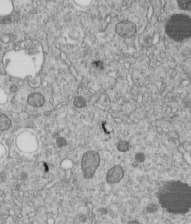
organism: C. elegans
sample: C. elegans embryo early stage